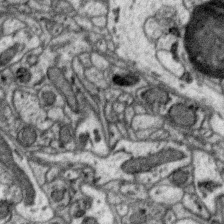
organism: Zebra finch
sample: Brain